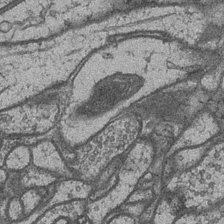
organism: Drosophila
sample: Optic medulla